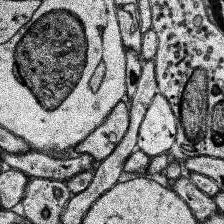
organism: Human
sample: Temporal Lobe